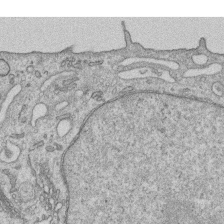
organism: Human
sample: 1205lu cells